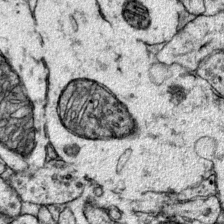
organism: Mouse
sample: Primary visual cortex